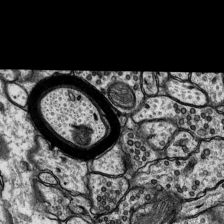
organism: Rat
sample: Hippocampus